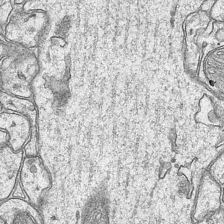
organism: Mouse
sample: CA1 Hippocampus